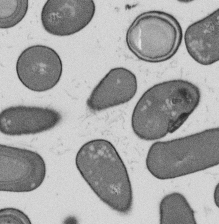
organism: B. subtilis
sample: Bacterial spore